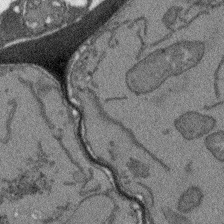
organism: Arabidopsis thaliana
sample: Root tip